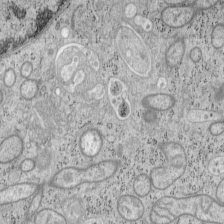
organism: Mouse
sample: OT-I killer T cells with ID8 ovarian cancer cells